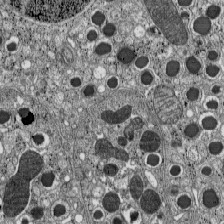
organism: C57BL Mouse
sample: Pancreatic islet